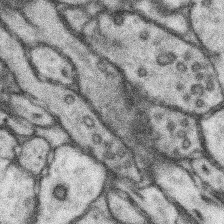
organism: Mouse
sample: Somatosensory cortex neuropil